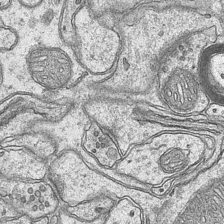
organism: Mouse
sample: CA1 Hippocampus